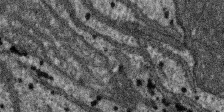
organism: Human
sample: Lung epithelial cells infected with SARS-CoV-2